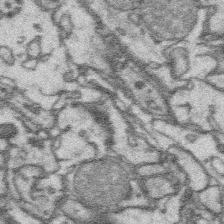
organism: Platynereis dumerilii